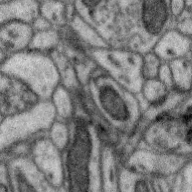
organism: Zebra finch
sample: Brain